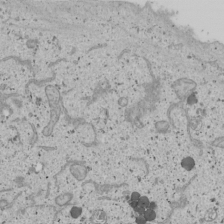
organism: Human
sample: Mitochondria in U2OS cells